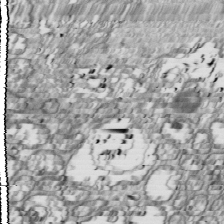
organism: Drosophila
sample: Cell division; meiosis; drosophila spermatocytes